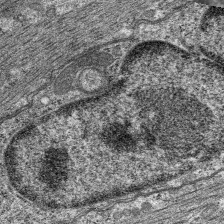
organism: C. elegans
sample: Pharynx